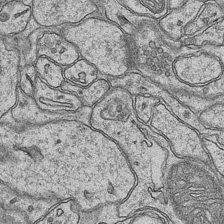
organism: Mouse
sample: CA1 Hippocampus